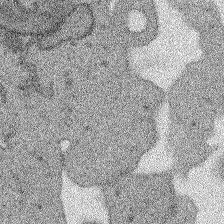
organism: Human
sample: HeLa cells